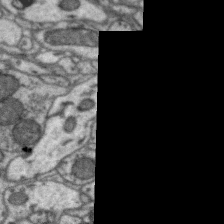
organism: Zebra finch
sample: Brain